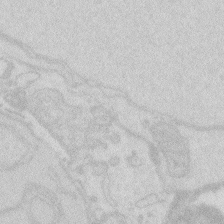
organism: Zebrafish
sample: Macrophage